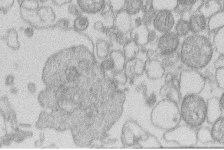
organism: Human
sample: Macrophage cells